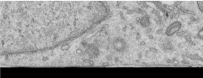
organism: Human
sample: Centriole in RPE cells